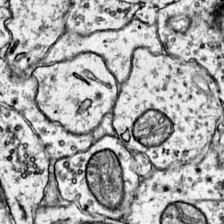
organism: Mouse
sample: Primary visual cortex